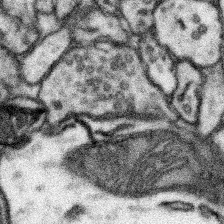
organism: Mouse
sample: Somatosensory cortex neuropil